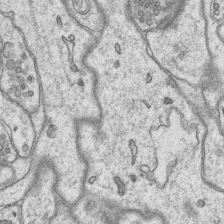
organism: Mouse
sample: CA1 Hippocampus